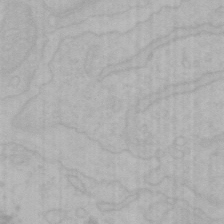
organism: Mouse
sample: Choroid plexus